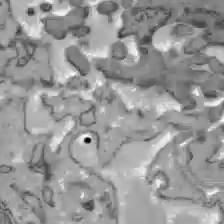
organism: C57BL Mouse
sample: Liver